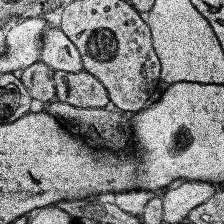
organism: Human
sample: Temporal Lobe